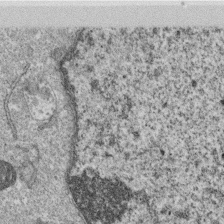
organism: African green monkey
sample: Vero E6 cells infected with SARS-CoV-2